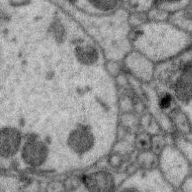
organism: Zebra finch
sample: Brain